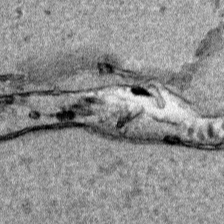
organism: Human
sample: Mitochondria in HCT116 cells